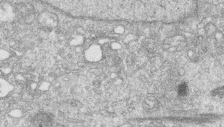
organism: Human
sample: HeLa cell HIV synapse